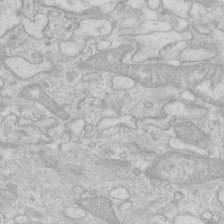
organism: Human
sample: Fibroblast cells